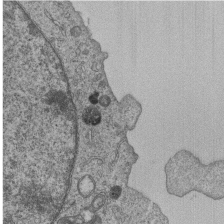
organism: Human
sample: MDA-MB-231 cells